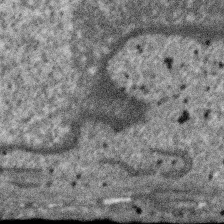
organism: Human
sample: Lung epithelial cells infected with SARS-CoV-2